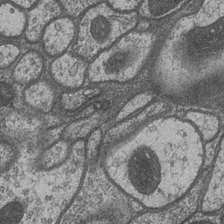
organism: Drosophila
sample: Optic medulla